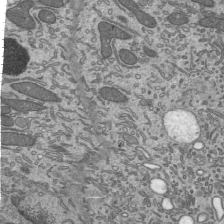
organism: Mouse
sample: Mouse epididymis efferent ductule cilia